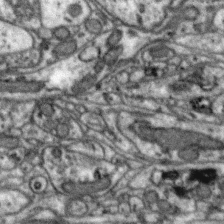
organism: Zebra finch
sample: Brain